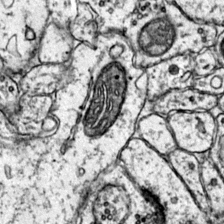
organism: Mouse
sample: Primary visual cortex